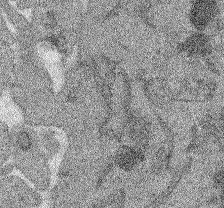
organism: Human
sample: HeLa cells